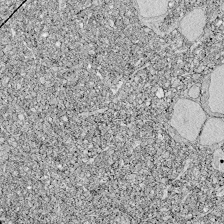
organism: Zebrafish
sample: Whole-Brain